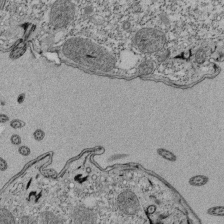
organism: Tetrahymena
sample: Cilia in tetrahymena